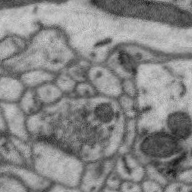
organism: Zebra finch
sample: Brain